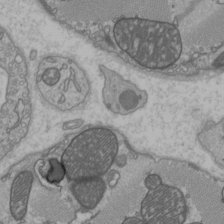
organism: C57BL Mouse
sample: Heart